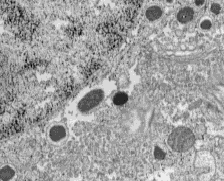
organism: C57BL Mouse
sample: Pancreatic islet